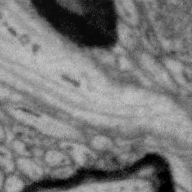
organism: Zebra finch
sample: Brain